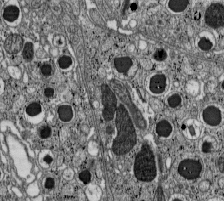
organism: C57BL Mouse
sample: Pancreatic islet